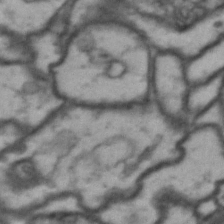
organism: Drosophila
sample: Brain